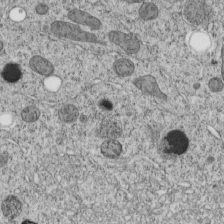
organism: C. elegans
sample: C. elegans embryo early stage